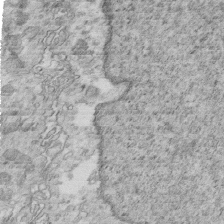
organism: Mouse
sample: Multiciliated cells